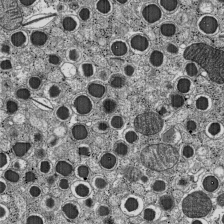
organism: C57BL Mouse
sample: Pancreatic islet